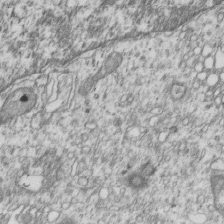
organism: Human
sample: MDA-MB-231 cells